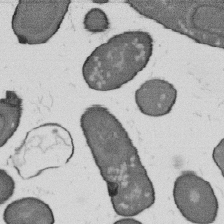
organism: B. subtilis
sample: Bacterial spore